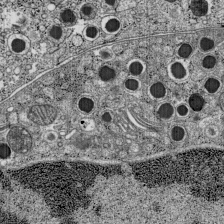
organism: C57BL Mouse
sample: Pancreatic islet